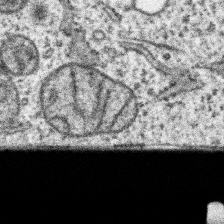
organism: Human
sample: HeLa cells